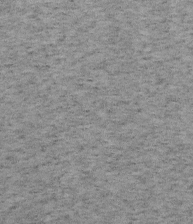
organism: Mouse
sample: OT-I killer T cells with ID8 ovarian cancer cells